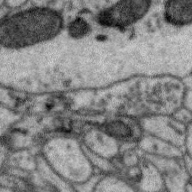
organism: Zebra finch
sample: Brain